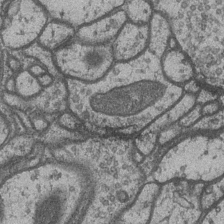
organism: Drosophila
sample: Optic medulla